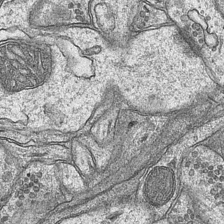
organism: Mouse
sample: CA1 Hippocampus